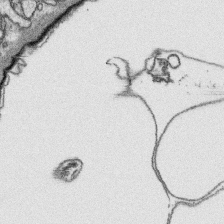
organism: Platynereis dumerilii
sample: Parapodia